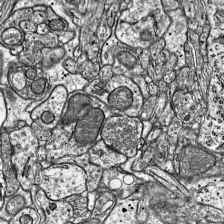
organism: Mouse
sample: Visual Cortex